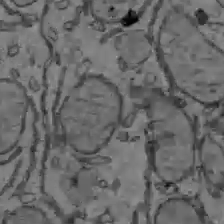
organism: C57BL Mouse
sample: Liver